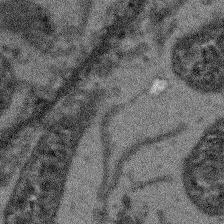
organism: Arabidopsis thaliana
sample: Root tip